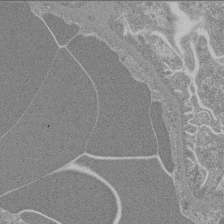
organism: Mouse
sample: Glomerulus